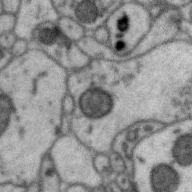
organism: Zebra finch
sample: Brain